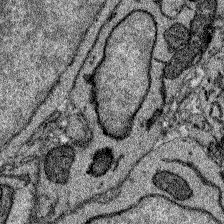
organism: Zebrafish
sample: Larval olfactory bulb